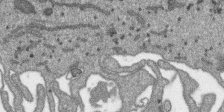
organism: Human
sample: Lung epithelial cells infected with SARS-CoV-2